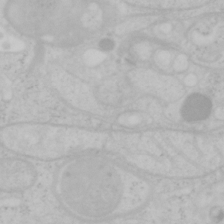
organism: Mouse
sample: OT-I killer T cells with ID8 ovarian cancer cells